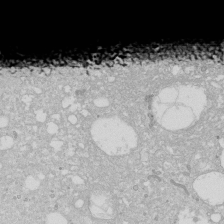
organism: Human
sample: Caco-2 cells